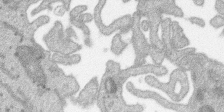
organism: Human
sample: Lung epithelial cells infected with SARS-CoV-2